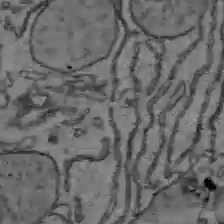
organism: C57BL Mouse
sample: Liver